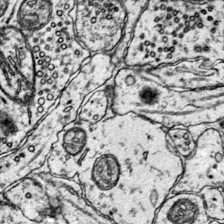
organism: Mouse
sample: Primary visual cortex